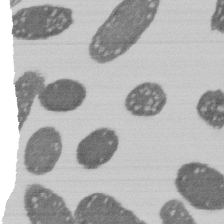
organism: E. coli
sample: Bacterial nucleoid